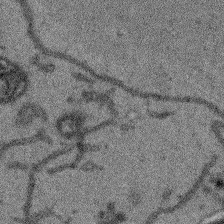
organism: Arabidopsis thaliana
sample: Root tip